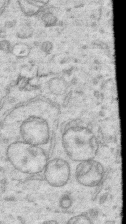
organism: Human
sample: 1205lu cells